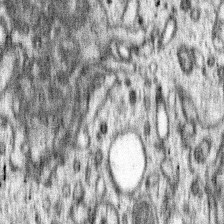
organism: Human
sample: HeLa cells